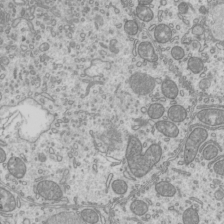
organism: Mouse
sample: Cilia; mouse epididymis